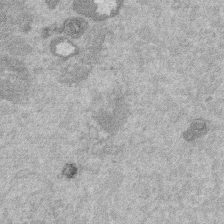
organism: Mouse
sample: Dividing mouse embryo 1 cell stage